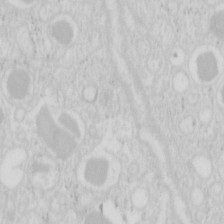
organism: Mouse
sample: Pancreas